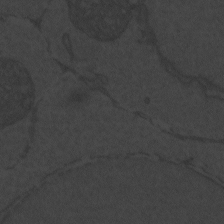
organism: Zebrafish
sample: Macrophage infected with Toxoplasma gondii